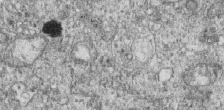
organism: Human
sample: HeLa cell HIV synapse